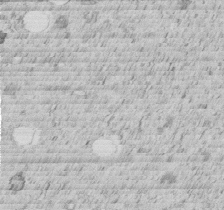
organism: C. elegans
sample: C. elegans embryo early stage